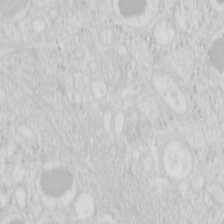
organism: Mouse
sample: Pancreas